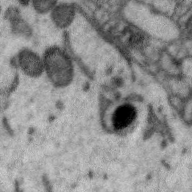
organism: Zebra finch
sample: Brain